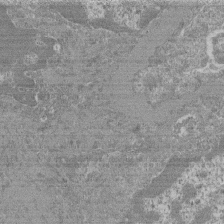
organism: Mouse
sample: Glomerulus